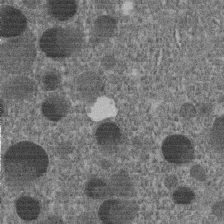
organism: C. elegans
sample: C. elegans embryo early stage